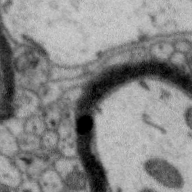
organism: Zebra finch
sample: Brain